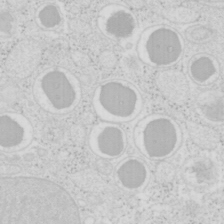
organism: Mouse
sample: Pancreas